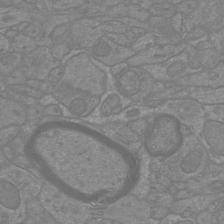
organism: Mouse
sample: Cortical neurons